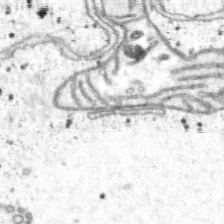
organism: Human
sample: HeLa cells